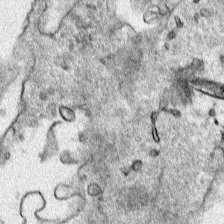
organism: Human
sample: Mitochondria in HCT116 cells